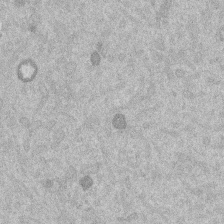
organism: Mouse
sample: Dividing mouse embryo 1 cell stage